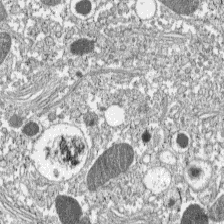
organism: C57BL Mouse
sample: Pancreatic islet